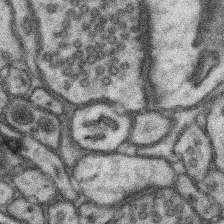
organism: Mouse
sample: Somatosensory cortex neuropil